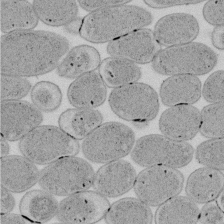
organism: E. coli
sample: Bacterial nucleoid